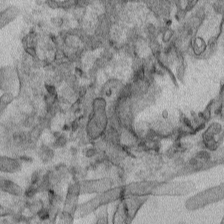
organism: Human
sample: Mitochondria in HCT116 cells